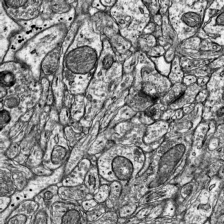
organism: Mouse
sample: Visual Cortex